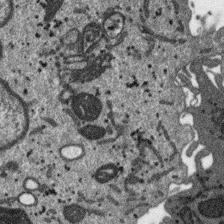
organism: Human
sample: Lung epithelial cells infected with SARS-CoV-2